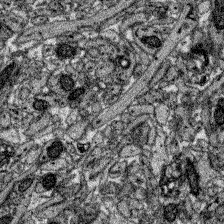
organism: Zebrafish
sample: Larval olfactory bulb